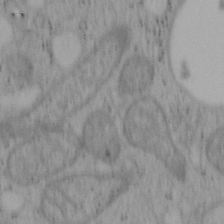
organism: Mouse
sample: OT-I killer T cells with ID8 ovarian cancer cells